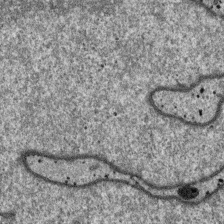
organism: Human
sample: Lung epithelial cells, uninfected (mock) control